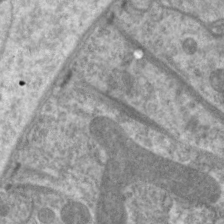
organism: C. elegans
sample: Pharynx